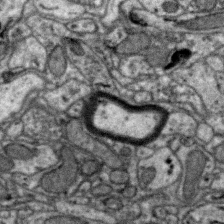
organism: Zebra finch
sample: Brain